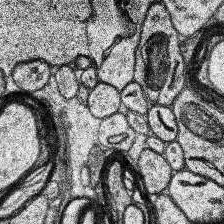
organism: Human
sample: Temporal Lobe